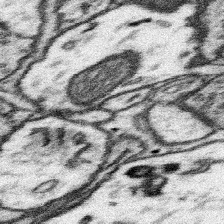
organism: Mouse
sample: Somatosensory cortex neuropil